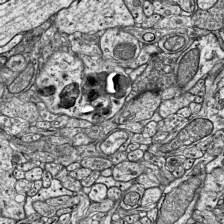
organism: Mouse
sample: Visual Cortex